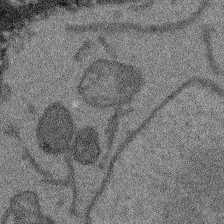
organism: Arabidopsis thaliana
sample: Root tip